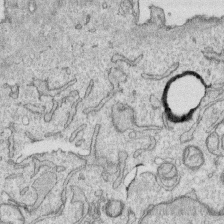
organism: Human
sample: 1205lu cells